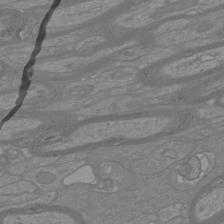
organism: Mouse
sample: Cortical neurons